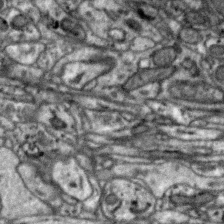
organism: Zebra finch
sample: Brain